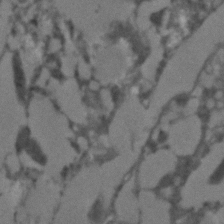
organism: C. elegans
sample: C. elegans embryo